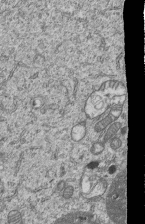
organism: Human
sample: MDA-MB-231 cells